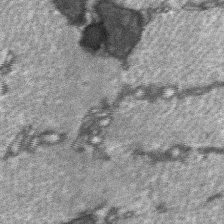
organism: C57BL Mouse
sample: Soleus